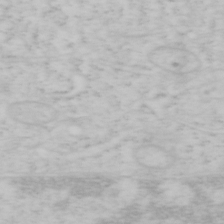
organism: Mouse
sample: OT-I killer T cells with ID8 ovarian cancer cells